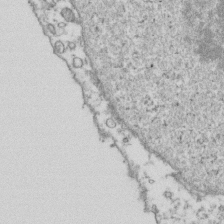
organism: Human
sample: Activated Jurkat CD4+ T cells